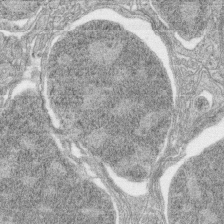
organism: Zebrafish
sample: synaptic ribbons in rod cells and cone cells